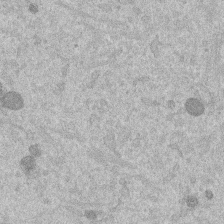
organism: Mouse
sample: Dividing mouse embryo 1 cell stage